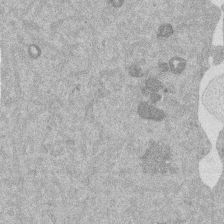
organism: Mouse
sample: Dividing mouse embryo 1 cell stage